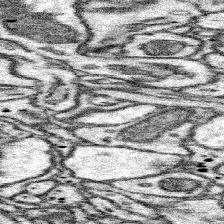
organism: Mouse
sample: Somatosensory cortex neuropil